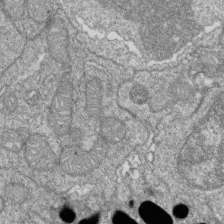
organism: Zebrafish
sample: Cilia; retinal pigment epithelium